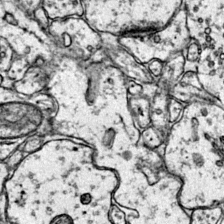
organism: Mouse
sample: Primary visual cortex